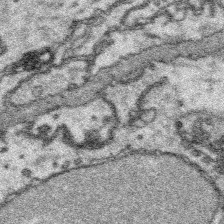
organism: Platynereis dumerilii